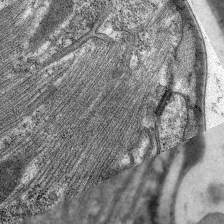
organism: C. elegans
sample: Pharynx